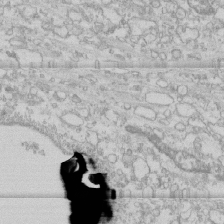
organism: Human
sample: CRL-1474